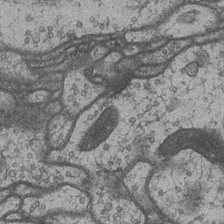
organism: Drosophila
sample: Optic medulla